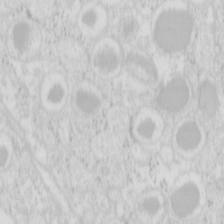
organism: Mouse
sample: Pancreas